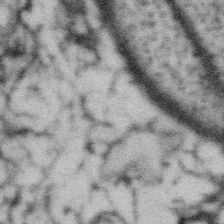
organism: Gemmata obscuriglobus